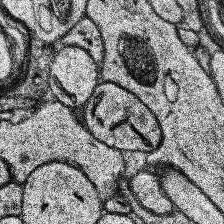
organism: Human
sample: Temporal Lobe